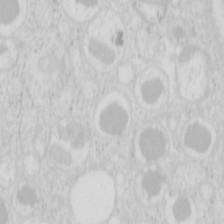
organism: Mouse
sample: Pancreas